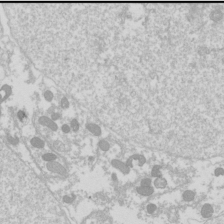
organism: Drosophila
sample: Cell division; meiosis; drosophila spermatocytes